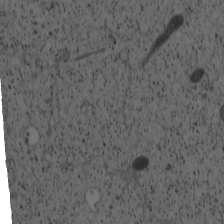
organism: African green monkey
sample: COS-7 cells